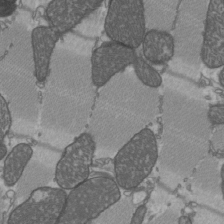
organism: C57BL Mouse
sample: Heart